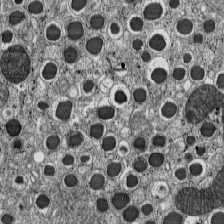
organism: C57BL Mouse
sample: Pancreatic islet